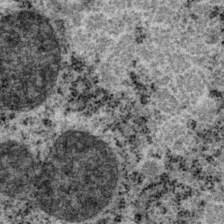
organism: P. pacificus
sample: Pharynx